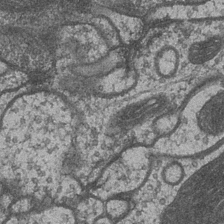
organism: Drosophila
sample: Optic medulla